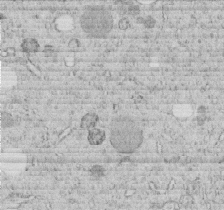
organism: C. elegans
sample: C. elegans embryo early stage